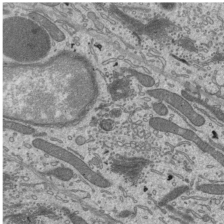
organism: Mouse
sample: Mouse epididymis efferent ductule cilia